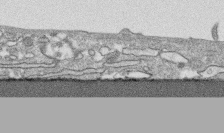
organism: Human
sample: CRL-1474